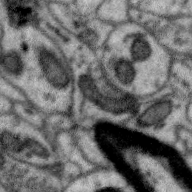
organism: Zebra finch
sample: Brain